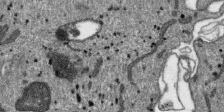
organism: Human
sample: Lung epithelial cells, uninfected (mock) control